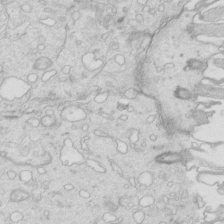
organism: Mouse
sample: Multiciliated cells